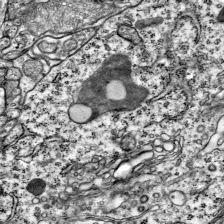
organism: Mouse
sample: Visual Cortex